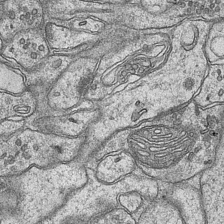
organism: Mouse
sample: CA1 Hippocampus